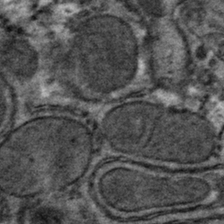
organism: Mouse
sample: Mouse hepatocytes